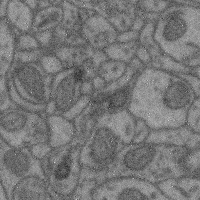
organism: Mouse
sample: Cerebral cortex